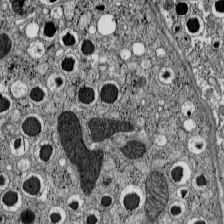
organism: C57BL Mouse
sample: Pancreatic islet